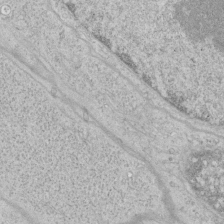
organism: Human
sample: Mitochondria in HCT116 cells